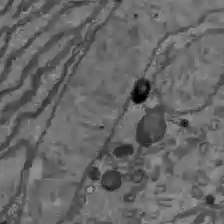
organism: C57BL Mouse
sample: Liver